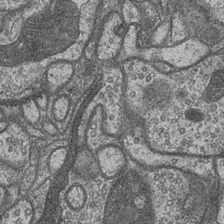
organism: Drosophila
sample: Optic medulla